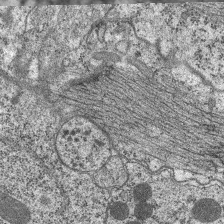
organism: C. elegans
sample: Pharynx